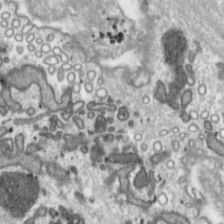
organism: Toxoplasma gondii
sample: Parasites in a vacuole inside a host cell